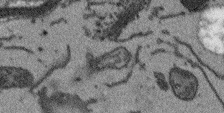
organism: Arabidopsis thaliana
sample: Root tip